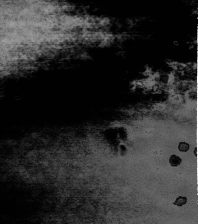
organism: Human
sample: U2-OS cells